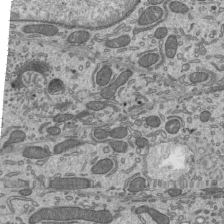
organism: Mouse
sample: Mouse epididymis efferent ductule cilia